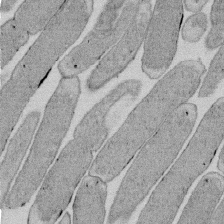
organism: E. coli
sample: Bacterial nucleoid